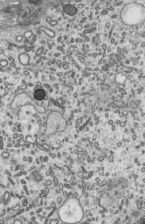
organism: Mouse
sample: Mouse epididymis efferent ductule cilia